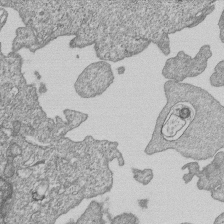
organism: Human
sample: MDA-MB-231 cells